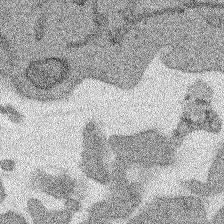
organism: Human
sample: HeLa cells